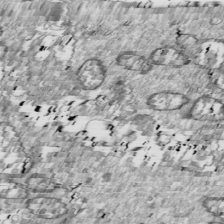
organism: Drosophila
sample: Cell division; meiosis; drosophila spermatocytes